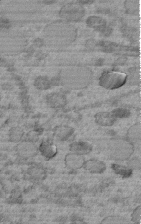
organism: C. elegans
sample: C. elegans embryo early stage